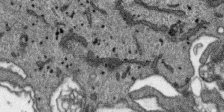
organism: Human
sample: Lung epithelial cells, uninfected (mock) control